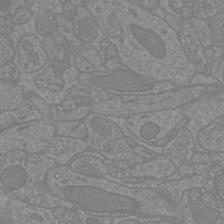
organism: Mouse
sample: Cortical neurons